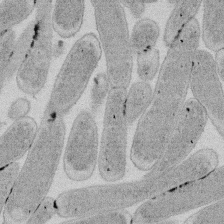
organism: E. coli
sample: Bacterial nucleoid